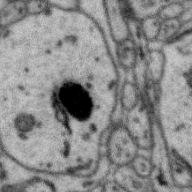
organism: Zebra finch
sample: Brain